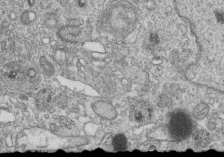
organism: Human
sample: HeLa cell HIV synapse